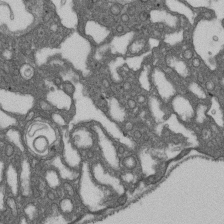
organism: Drosophila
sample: Nephrocyte